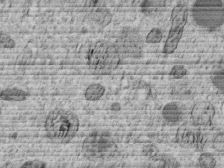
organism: C. elegans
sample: C. elegans embryo early stage